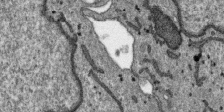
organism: Human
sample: Lung epithelial cells, uninfected (mock) control